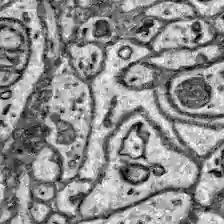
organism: Zebrafish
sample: Brain